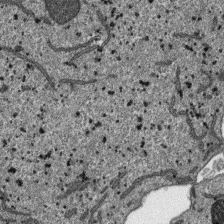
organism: Human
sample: Lung epithelial cells infected with SARS-CoV-2